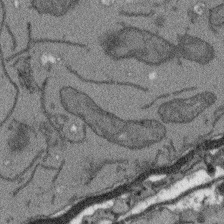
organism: Arabidopsis thaliana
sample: Root tip